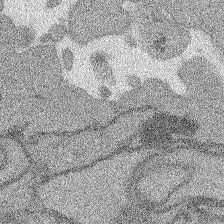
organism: Human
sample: HeLa cells